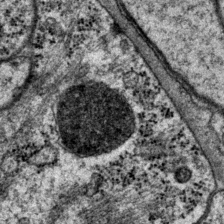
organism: P. pacificus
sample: Pharynx